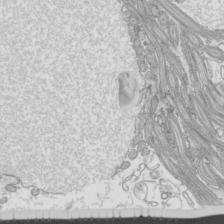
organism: Mouse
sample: Cilia; mouse epididymis